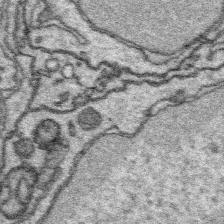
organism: Platynereis dumerilii